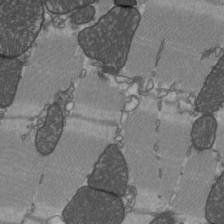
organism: C57BL Mouse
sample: Heart